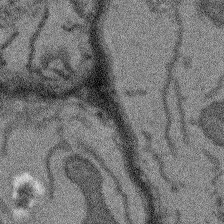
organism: Arabidopsis thaliana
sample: Root tip